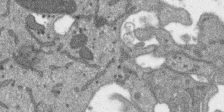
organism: Human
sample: Lung epithelial cells infected with SARS-CoV-2